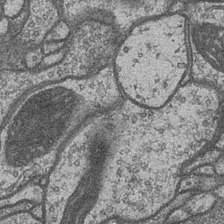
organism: Drosophila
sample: Optic medulla